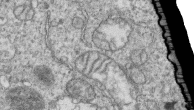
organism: Human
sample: HeLa cell HIV synapse